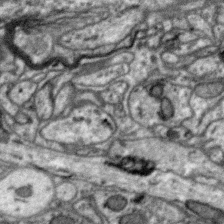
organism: Zebra finch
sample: Brain